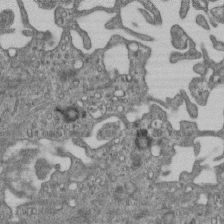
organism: Mouse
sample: Centriole in ependymal cells